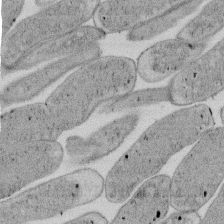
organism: E. coli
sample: Bacterial nucleoid